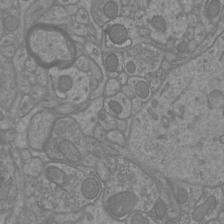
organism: Mouse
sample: Cortical neurons